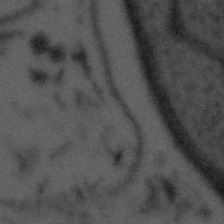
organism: Tuwongella immobilis